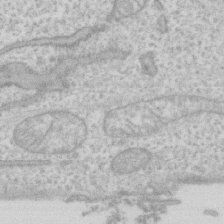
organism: Human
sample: Fibroblast cells